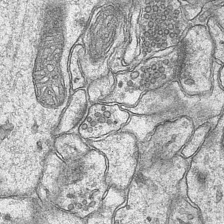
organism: Mouse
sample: CA1 Hippocampus